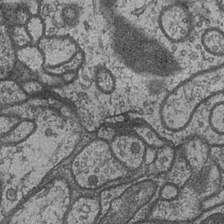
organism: Drosophila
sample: Optic medulla